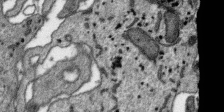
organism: Human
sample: Lung epithelial cells, uninfected (mock) control